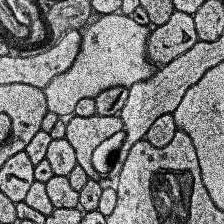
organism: Human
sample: Temporal Lobe